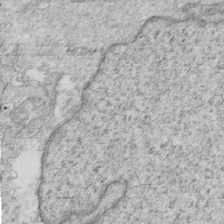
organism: Mouse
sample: Multiciliated cells